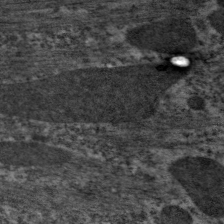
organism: C. elegans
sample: Pharynx